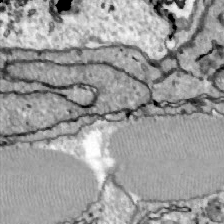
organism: Zebrafish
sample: Actinotrichia fibers